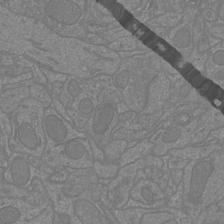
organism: Mouse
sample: Cortical neurons